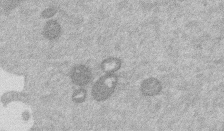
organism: Mouse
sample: Dividing mouse embryo 1 cell stage